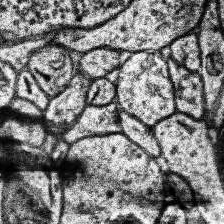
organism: Human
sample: Temporal Lobe